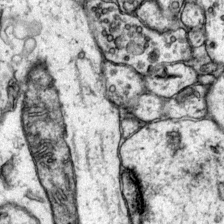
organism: Mouse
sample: Primary visual cortex